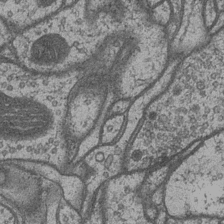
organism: Drosophila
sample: Optic medulla